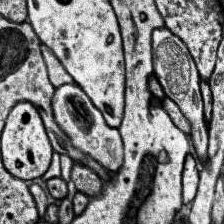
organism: Human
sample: Temporal Lobe